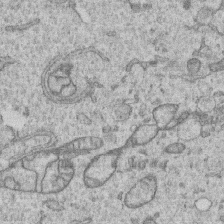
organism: Human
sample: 1205lu cells